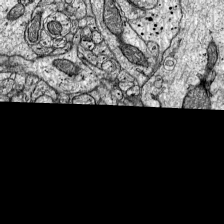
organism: Mouse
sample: Visual Cortex